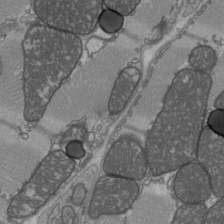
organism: C57BL Mouse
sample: Heart